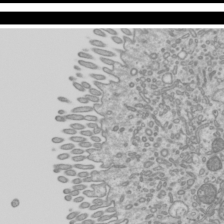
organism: Mouse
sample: Cilia; mouse epididymis